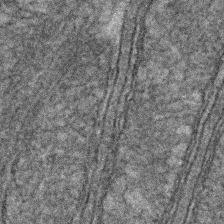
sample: Kidney